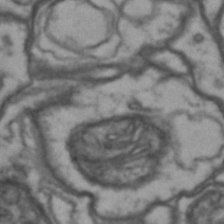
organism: Drosophila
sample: Brain